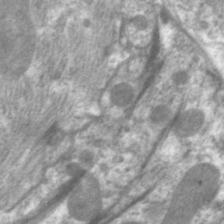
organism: C. elegans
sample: Pharynx